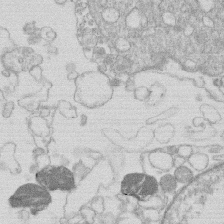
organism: Human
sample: Macrophage cells